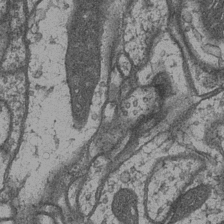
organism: Drosophila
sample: Optic medulla